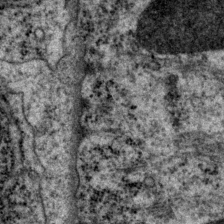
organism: P. pacificus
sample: Pharynx